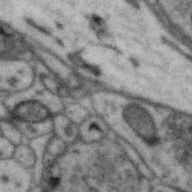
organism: Zebra finch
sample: Brain